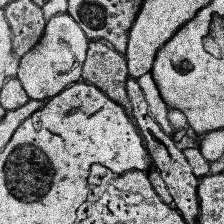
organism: Human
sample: Temporal Lobe